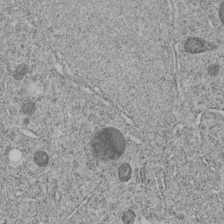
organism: C. elegans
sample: C. elegans embryo early stage